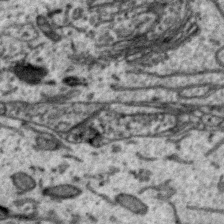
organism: Zebra finch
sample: Brain